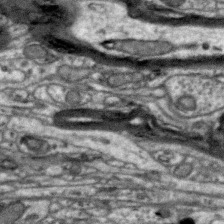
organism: Zebra finch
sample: Brain